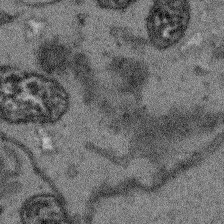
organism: Arabidopsis thaliana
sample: Root tip